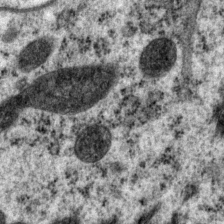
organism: P. pacificus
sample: Pharynx